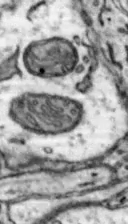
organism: Mouse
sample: Nucleus accumbens